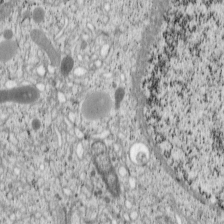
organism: African green monkey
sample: COS-7 cells